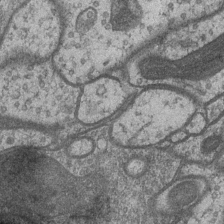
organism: Drosophila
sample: Optic medulla